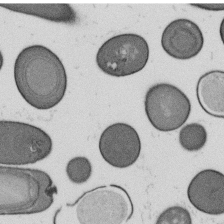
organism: B. subtilis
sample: Bacterial spore